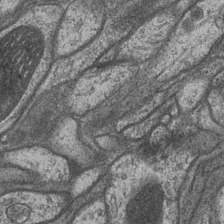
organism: Drosophila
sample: Optic medulla